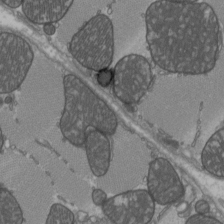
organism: C57BL Mouse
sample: Heart